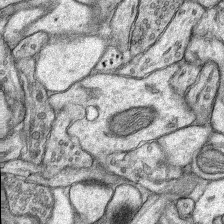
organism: Rat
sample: Hippocampus